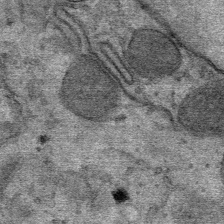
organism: Mouse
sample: Mouse Salivary gland